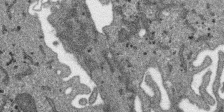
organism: Human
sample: Lung epithelial cells infected with SARS-CoV-2